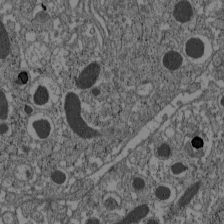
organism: C57BL Mouse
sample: Pancreatic islet